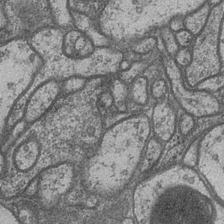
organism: Drosophila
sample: Optic medulla